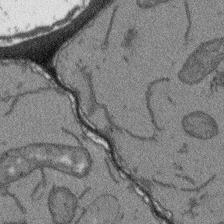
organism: Arabidopsis thaliana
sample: Root tip